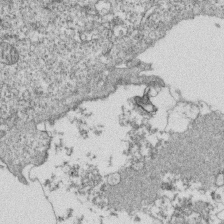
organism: Human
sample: HeLa cell HIV synapse